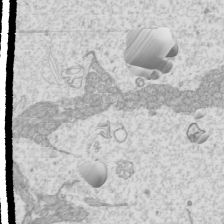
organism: Mouse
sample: Cilia; mouse epididymis